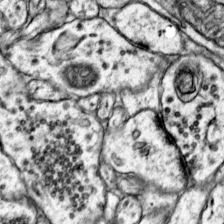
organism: Mouse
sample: Primary visual cortex